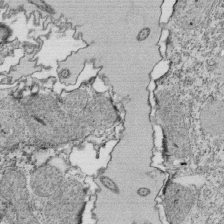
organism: Tetrahymena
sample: Cilia in tetrahymena